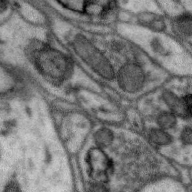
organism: Zebra finch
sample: Brain